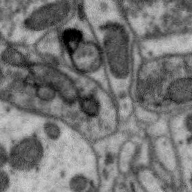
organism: Zebra finch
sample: Brain